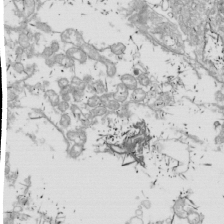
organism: Drosophila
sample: Cell division; meiosis; drosophila spermatocytes